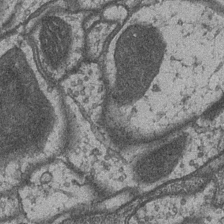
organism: Drosophila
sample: Optic medulla